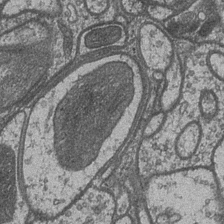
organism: Drosophila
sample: Optic medulla